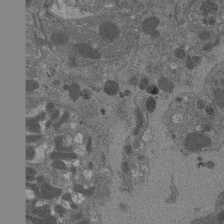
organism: Drosophila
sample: Antenna